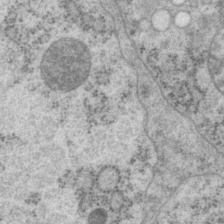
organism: P. pacificus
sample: Pharynx